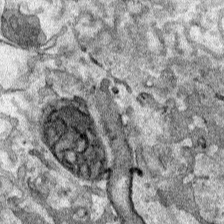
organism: Human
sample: Mitochondria in HCT116 cells